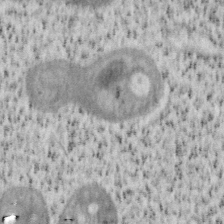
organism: Mouse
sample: OT-I killer T cells with ID8 ovarian cancer cells